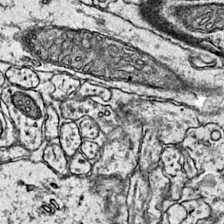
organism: Mouse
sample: Primary visual cortex